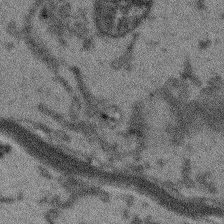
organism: Arabidopsis thaliana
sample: Root tip